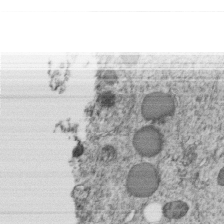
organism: C. elegans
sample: C. elegans embryo early stage